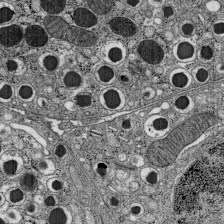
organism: C57BL Mouse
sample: Pancreatic islet